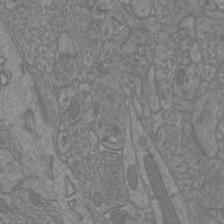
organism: Mouse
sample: Cortical neurons